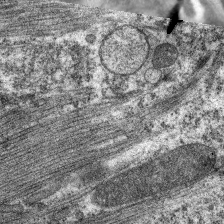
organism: C. elegans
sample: Pharynx